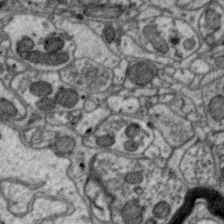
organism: Zebra finch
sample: Brain